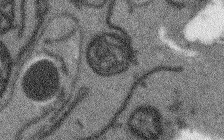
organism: Arabidopsis thaliana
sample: Root tip